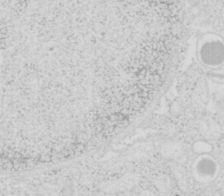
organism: Mouse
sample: Pancreas